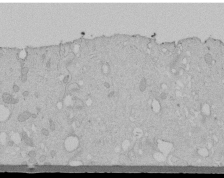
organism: Human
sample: Melanocyte Keratinocyte synapse skin construct